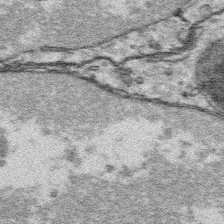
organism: Platynereis dumerilii